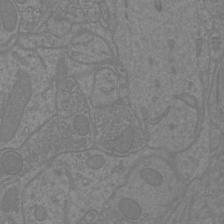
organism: Mouse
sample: Cortical neurons